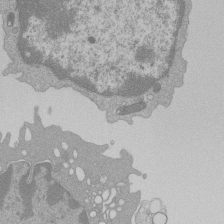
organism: Mouse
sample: Activated Pmel transgenic CD8+ T Cells